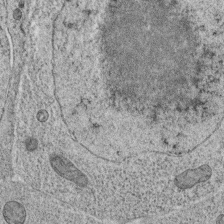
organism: C. elegans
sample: C. elegans oocyte; sperm cells